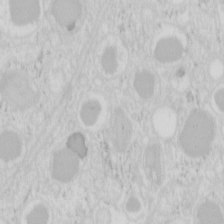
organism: Mouse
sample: Pancreas